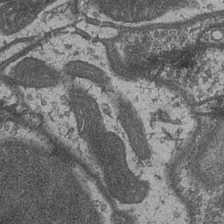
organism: Drosophila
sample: Optic medulla